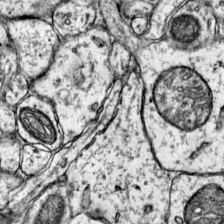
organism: Mouse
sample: Primary visual cortex